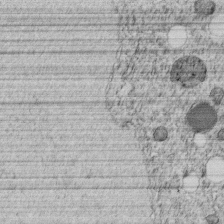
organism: C. elegans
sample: C. elegans embryo early stage